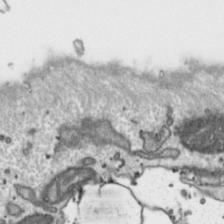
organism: Toxoplasma gondii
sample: Parasites in a vacuole inside a host cell